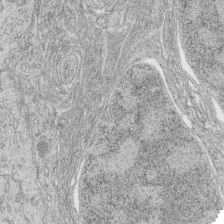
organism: Zebrafish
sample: synaptic ribbons in rod cells and cone cells